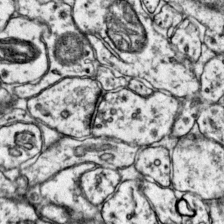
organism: Mouse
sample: Primary visual cortex